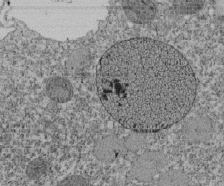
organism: Tetrahymena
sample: Cilia in tetrahymena